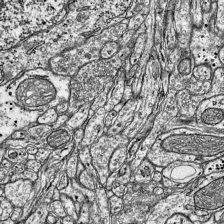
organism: Mouse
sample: Visual Cortex